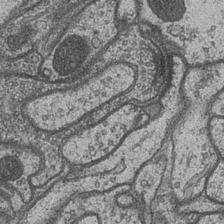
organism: Drosophila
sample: Optic medulla